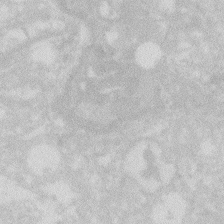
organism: Zebrafish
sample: Macrophage